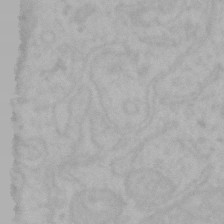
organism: Mouse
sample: Choroid plexus